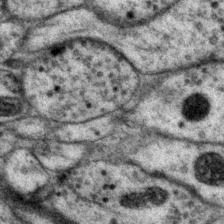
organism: P. pacificus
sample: Pharynx